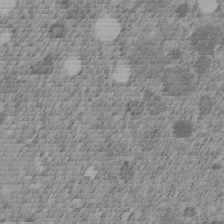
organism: C. elegans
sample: C. elegans embryo early stage